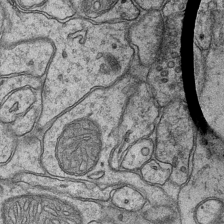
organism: Mouse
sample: CA1 Hippocampus